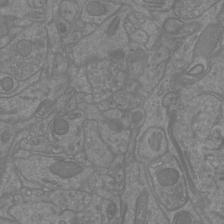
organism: Mouse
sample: Cortical neurons